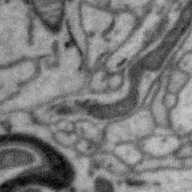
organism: Zebra finch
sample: Brain